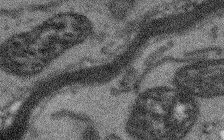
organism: Arabidopsis thaliana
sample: Root tip